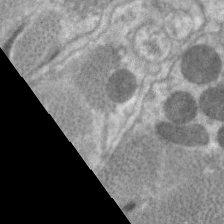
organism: C. elegans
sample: Pharynx